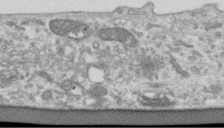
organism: Human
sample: Centriole in RPE cells